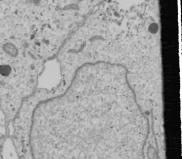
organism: Human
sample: Mitochondria in U2OS cells